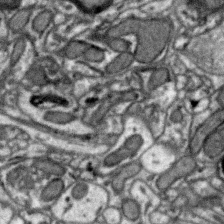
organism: Zebra finch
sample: Brain